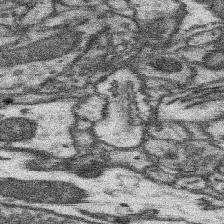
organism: Mouse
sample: Somatosensory cortex neuropil